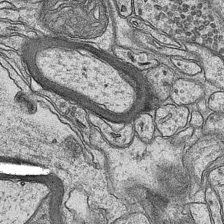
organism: Mouse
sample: CA1 Hippocampus